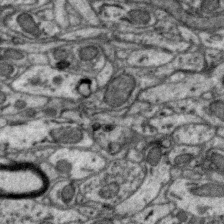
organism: Zebra finch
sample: Brain